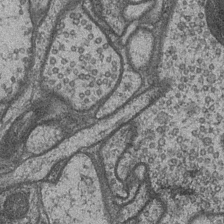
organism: Drosophila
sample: Optic medulla